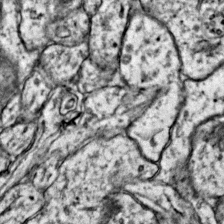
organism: Mouse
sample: Primary visual cortex